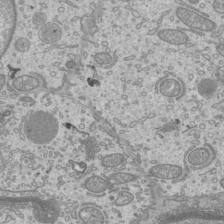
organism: Mouse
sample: Cilia; mouse epididymis